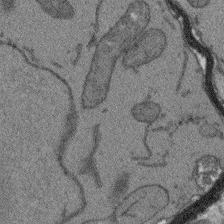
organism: Arabidopsis thaliana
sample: Root tip